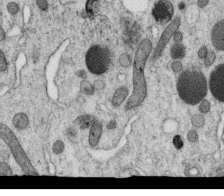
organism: C. elegans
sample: C. elegans oocyte; sperm cells